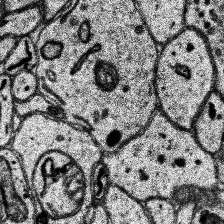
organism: Human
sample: Temporal Lobe